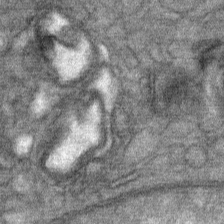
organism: Mouse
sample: Mouse Salivary gland